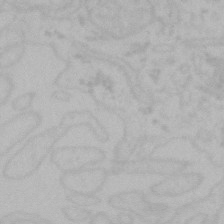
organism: Mouse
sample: Choroid plexus